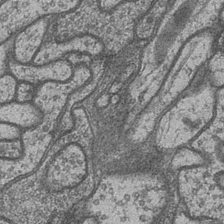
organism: Drosophila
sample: Optic medulla